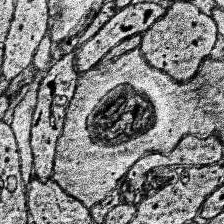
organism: Human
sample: Temporal Lobe